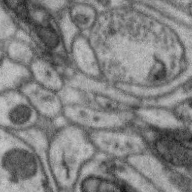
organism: Zebra finch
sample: Brain